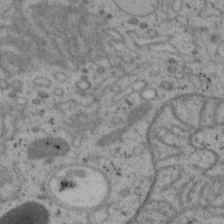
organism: Human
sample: HeLa cells